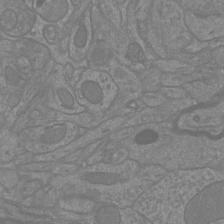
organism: Mouse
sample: Cortical neurons